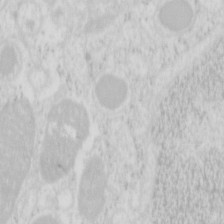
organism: Mouse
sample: Pancreas